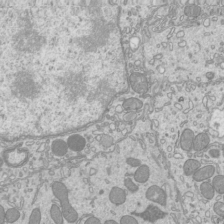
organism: Mouse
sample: Cilia; mouse epididymis